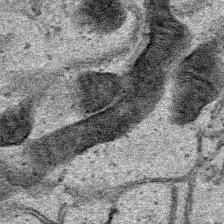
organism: Human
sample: Mitochondria in HCT116 cells